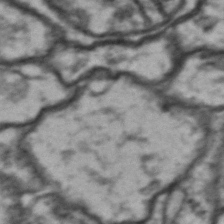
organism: Drosophila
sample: Brain